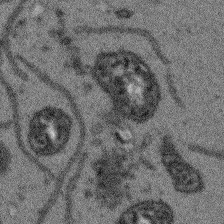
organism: Arabidopsis thaliana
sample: Root tip